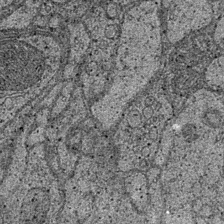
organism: Drosophila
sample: Optic medulla